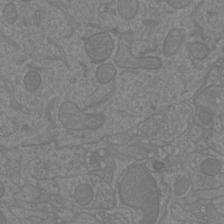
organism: Mouse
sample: Cortical neurons